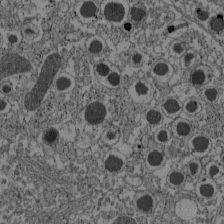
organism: C57BL Mouse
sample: Pancreatic islet